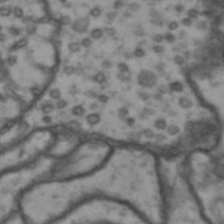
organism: Drosophila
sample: Brain